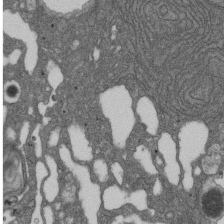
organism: Drosophila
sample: Nephrocyte